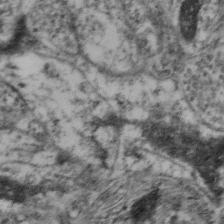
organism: Mouse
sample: Neocortex